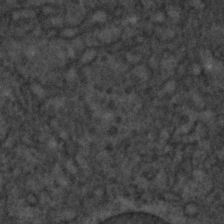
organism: C. elegans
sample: C. elegans embryo